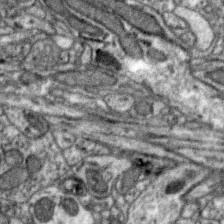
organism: Zebra finch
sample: Brain